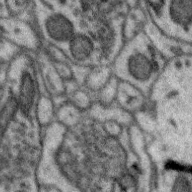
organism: Zebra finch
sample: Brain